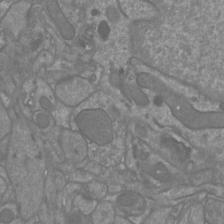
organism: Mouse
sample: Cortical neurons